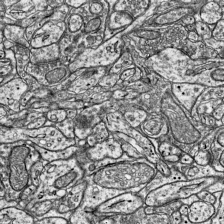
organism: Mouse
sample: Visual Cortex